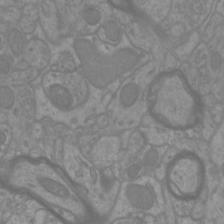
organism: Mouse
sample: Cortical neurons